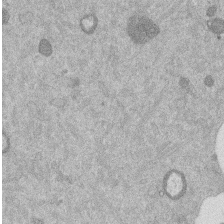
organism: Mouse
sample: Dividing mouse embryo 1 cell stage